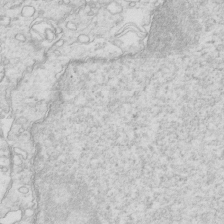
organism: Mouse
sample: Multiciliated cells